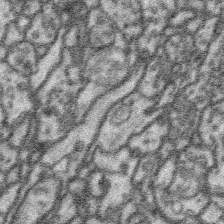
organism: Platynereis dumerilii